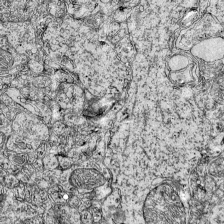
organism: Mouse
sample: Visual Cortex